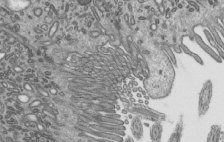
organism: Mouse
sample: Mouse epididymis efferent ductule cilia